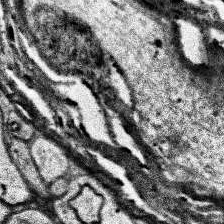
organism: Human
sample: Temporal Lobe